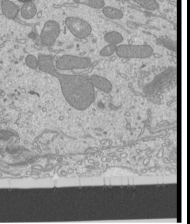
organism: Mouse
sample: Cilia; mouse epididymis